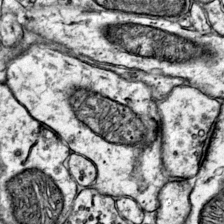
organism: Mouse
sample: Primary visual cortex